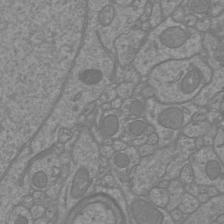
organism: Mouse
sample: Cortical neurons